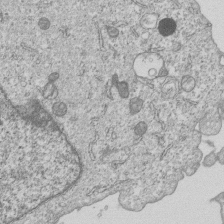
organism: Human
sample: MDA-MB-231 cells